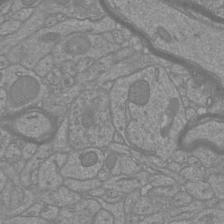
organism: Mouse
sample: Cortical neurons